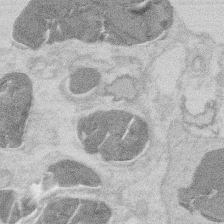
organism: Mouse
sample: T cell stromal cell synapse